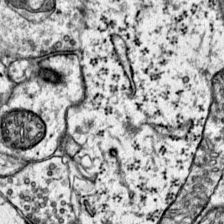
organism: Mouse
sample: Primary visual cortex